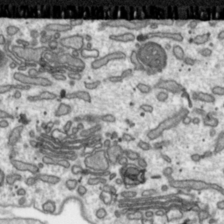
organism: Toxoplasma gondii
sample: Parasites in a vacuole inside a host cell